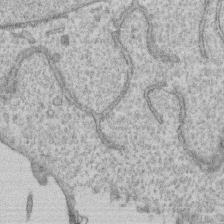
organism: Human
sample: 1205lu cells